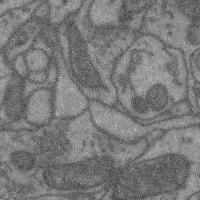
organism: Mouse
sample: Cerebral cortex